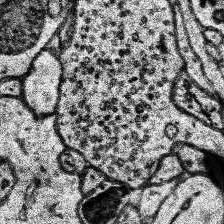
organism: Human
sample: Temporal Lobe